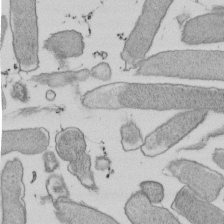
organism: E. coli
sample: Bacterial nucleoid